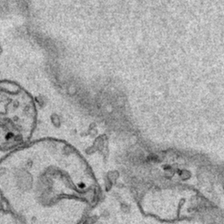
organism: Human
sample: Mitochondria in HCT116 cells